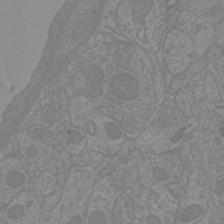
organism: Mouse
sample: Cortical neurons